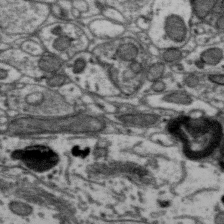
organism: Zebra finch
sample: Brain